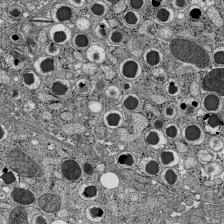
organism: C57BL Mouse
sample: Pancreatic islet